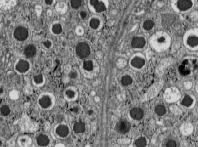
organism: C57BL Mouse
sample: Pancreatic islet